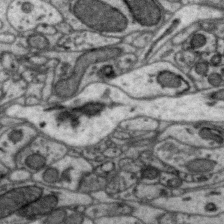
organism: Zebra finch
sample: Brain